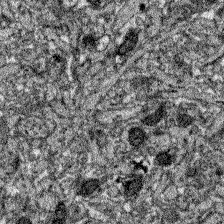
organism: Zebrafish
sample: Larval olfactory bulb